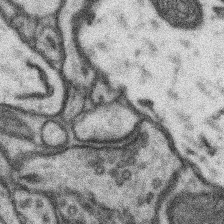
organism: Mouse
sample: Somatosensory cortex neuropil